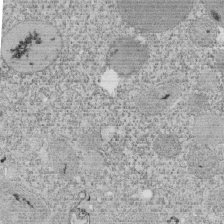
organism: Tetrahymena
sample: Cilia in tetrahymena